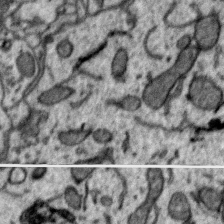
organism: Zebra finch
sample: Brain